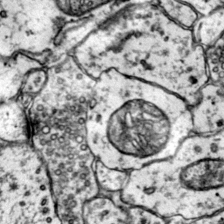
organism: Mouse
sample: Primary visual cortex